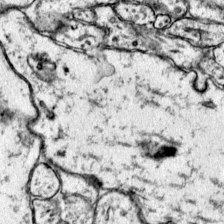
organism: Mouse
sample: Primary visual cortex